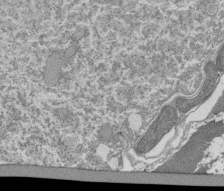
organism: Tetrahymena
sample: Cilia in tetrahymena